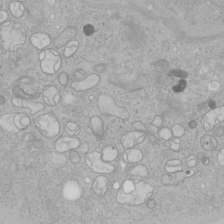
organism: Human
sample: Mitochondria in HCT116 cells